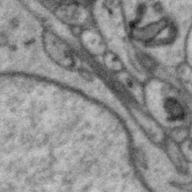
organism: Zebra finch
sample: Brain